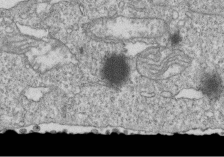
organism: Human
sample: HeLa cell HIV synapse